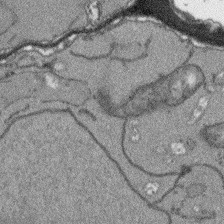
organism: Arabidopsis thaliana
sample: Root tip